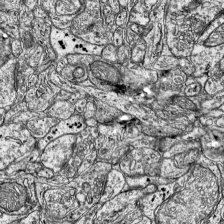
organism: Mouse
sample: Visual Cortex